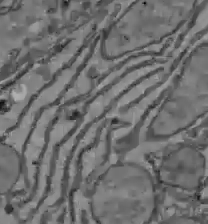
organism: C57BL Mouse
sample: Liver